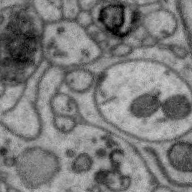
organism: Zebra finch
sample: Brain